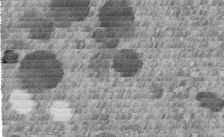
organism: C. elegans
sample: C. elegans embryo early stage